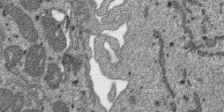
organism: Human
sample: Lung epithelial cells infected with SARS-CoV-2